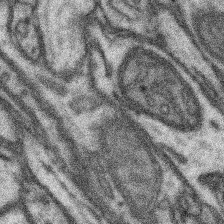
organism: Mouse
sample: Somatosensory cortex neuropil